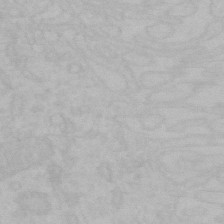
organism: Mouse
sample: Choroid plexus